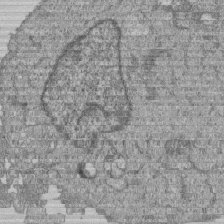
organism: Human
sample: MDA-MB-231 cells